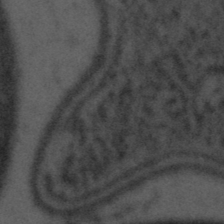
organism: Tuwongella immobilis